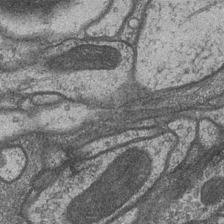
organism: Drosophila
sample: Optic medulla